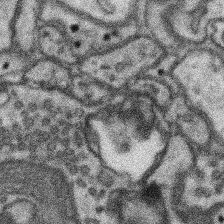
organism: Mouse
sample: Somatosensory cortex neuropil